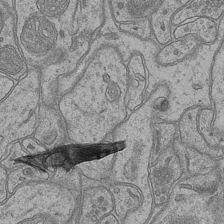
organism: Mouse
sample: CA1 Hippocampus